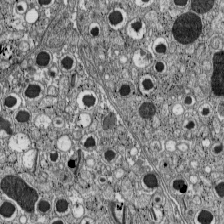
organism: C57BL Mouse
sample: Pancreatic islet